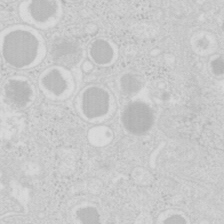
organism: Mouse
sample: Pancreas